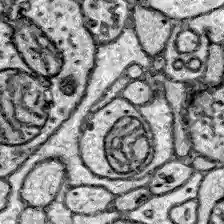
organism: Zebrafish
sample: Brain